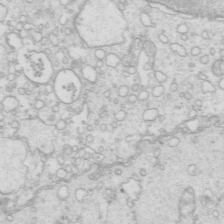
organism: Mouse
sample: Multiciliated cells